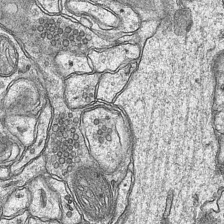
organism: Mouse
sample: CA1 Hippocampus